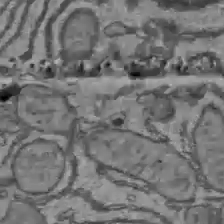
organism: C57BL Mouse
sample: Liver